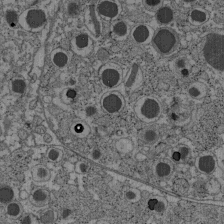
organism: C57BL Mouse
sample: Pancreatic islet